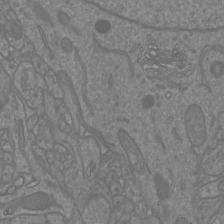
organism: Mouse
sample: Cortical neurons